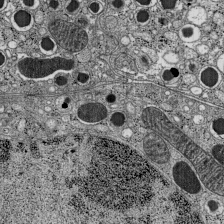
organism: C57BL Mouse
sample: Pancreatic islet